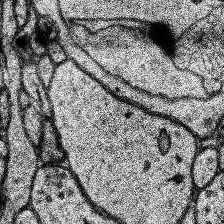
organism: Human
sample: Temporal Lobe